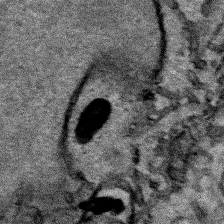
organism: Human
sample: Mitochondria in HCT116 cells